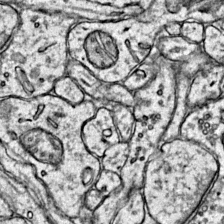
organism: Mouse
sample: Primary visual cortex